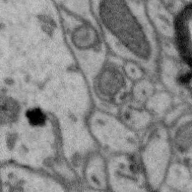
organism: Zebra finch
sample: Brain